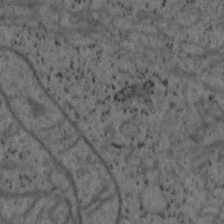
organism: Human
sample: HeLa cells